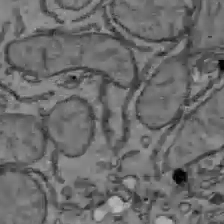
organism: C57BL Mouse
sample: Liver